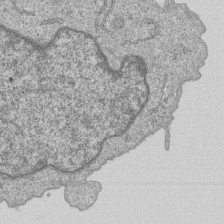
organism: Human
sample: MDA-MB-231 cells